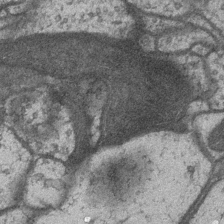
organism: Drosophila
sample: Optic medulla